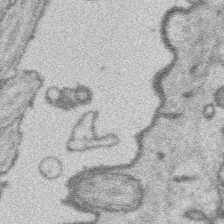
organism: Platynereis dumerilii